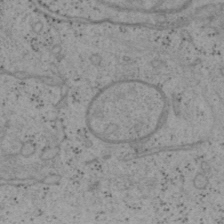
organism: Human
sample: HeLa cells